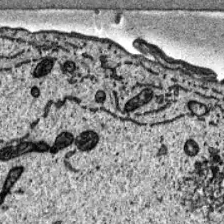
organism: Human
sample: HeLa cells